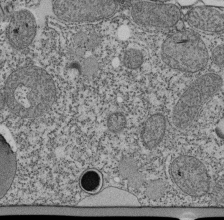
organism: Tetrahymena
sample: Cilia in tetrahymena